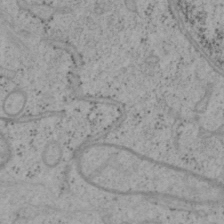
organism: Human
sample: HeLa cells